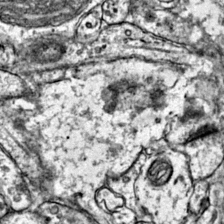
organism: Mouse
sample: Primary visual cortex